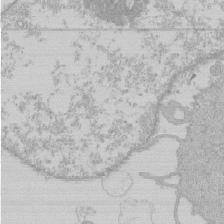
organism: Human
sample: Macrophage cells